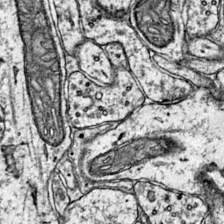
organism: Mouse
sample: Primary visual cortex